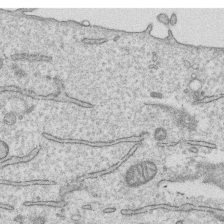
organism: Human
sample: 1205lu cells